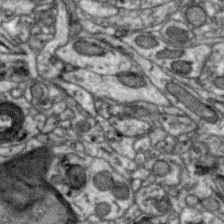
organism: Zebra finch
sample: Brain